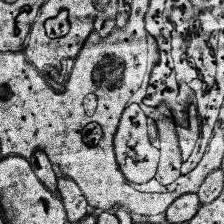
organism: Human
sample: Temporal Lobe